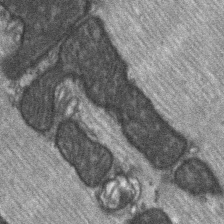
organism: C57BL Mouse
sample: Soleus